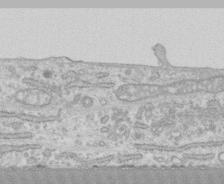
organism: Human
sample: CRL-1474